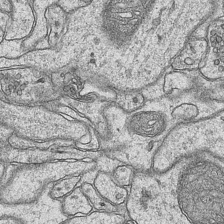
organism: Mouse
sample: CA1 Hippocampus